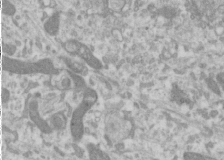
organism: Human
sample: Cilia; basal body in RPE cells